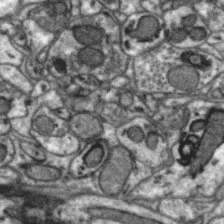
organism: Zebra finch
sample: Brain